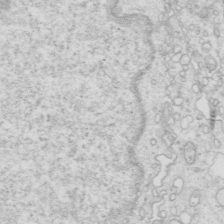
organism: Mouse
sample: Multiciliated cells